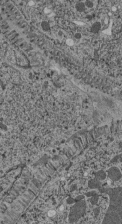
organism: C. elegans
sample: C. elegans pharynx